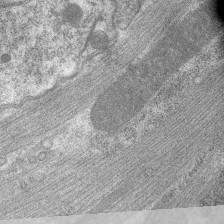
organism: C. elegans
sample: Pharynx